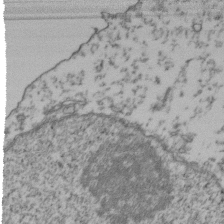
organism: Human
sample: Activated Jurkat CD4+ T cells